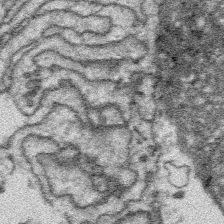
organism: Platynereis dumerilii